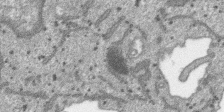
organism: Human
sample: Lung epithelial cells infected with SARS-CoV-2